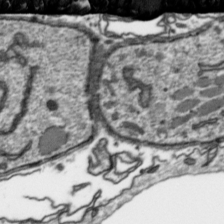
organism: Toxoplasma gondii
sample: Parasites in a vacuole inside a host cell